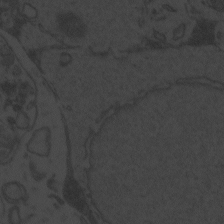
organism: Zebrafish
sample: Macrophage infected with Toxoplasma gondii